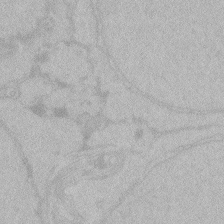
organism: Zebrafish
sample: Macrophage infected with Toxoplasma gondii